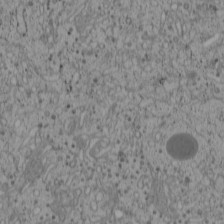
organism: African green monkey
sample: COS-7 cells